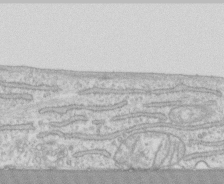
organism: Human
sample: CRL-1474